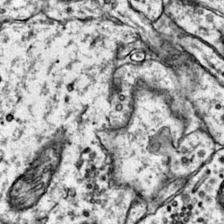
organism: Mouse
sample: Primary visual cortex